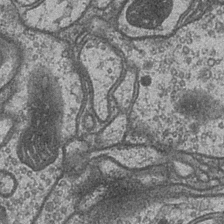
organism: Drosophila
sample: Optic medulla